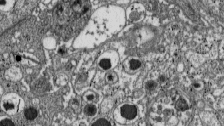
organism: C57BL Mouse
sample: Pancreatic islet